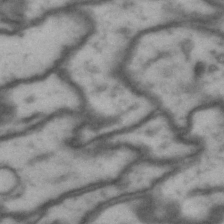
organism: Drosophila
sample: Brain